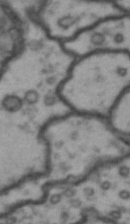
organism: Drosophila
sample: Brain